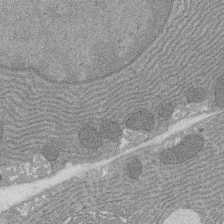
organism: Rat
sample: Salivary granule